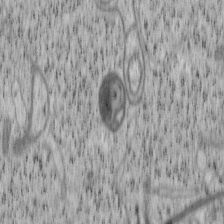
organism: Human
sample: HeLa cells